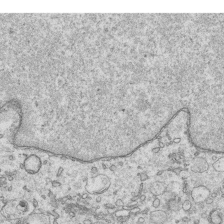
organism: Human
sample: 1205lu cells